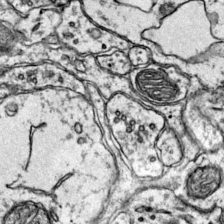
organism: Mouse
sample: Primary visual cortex